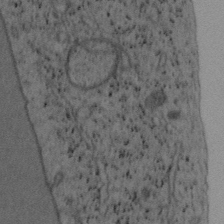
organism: Human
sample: HeLa cells